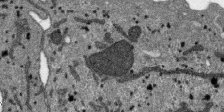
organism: Human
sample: Lung epithelial cells, uninfected (mock) control